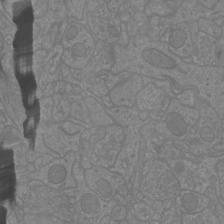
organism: Mouse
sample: Cortical neurons